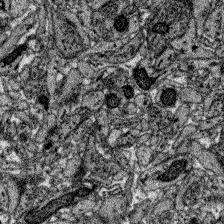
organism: Zebrafish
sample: Larval olfactory bulb